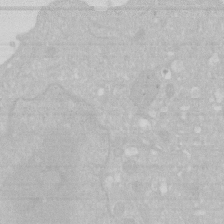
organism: Human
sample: HIV infected U937 cells